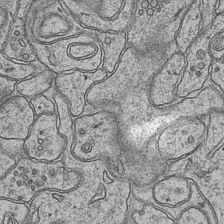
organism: Mouse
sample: CA1 Hippocampus